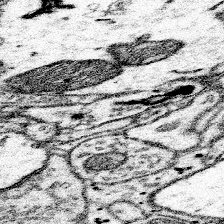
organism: Mouse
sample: Somatosensory cortex neuropil